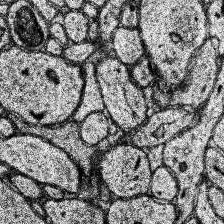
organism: Human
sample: Temporal Lobe